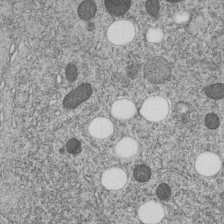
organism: C. elegans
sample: C. elegans embryo early stage